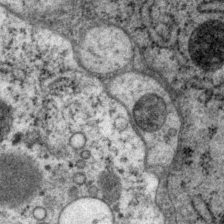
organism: P. pacificus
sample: Pharynx